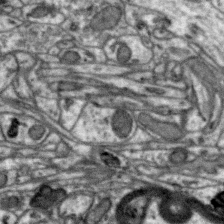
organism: Zebra finch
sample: Brain